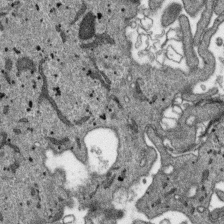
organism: Human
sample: Lung epithelial cells, uninfected (mock) control